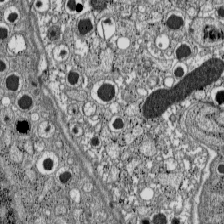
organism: C57BL Mouse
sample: Pancreatic islet